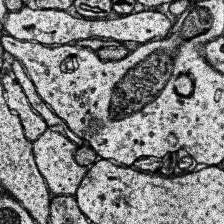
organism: Human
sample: Temporal Lobe